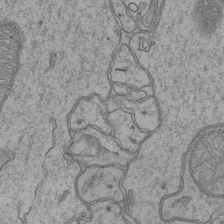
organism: Mouse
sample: CA1 Hippocampus